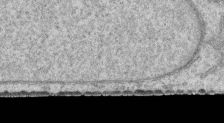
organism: Human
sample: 1205lu cells